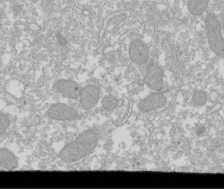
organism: Xenopus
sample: Cilia; centrioles in frog embryo cells